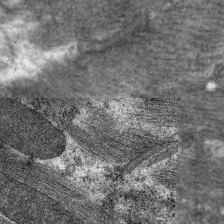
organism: C. elegans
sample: Pharynx